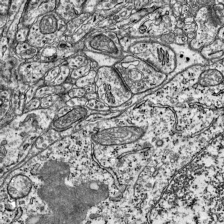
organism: Mouse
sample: Visual Cortex